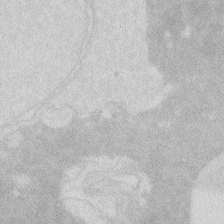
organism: Zebrafish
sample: Macrophage